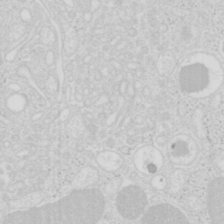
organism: Mouse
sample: Pancreas